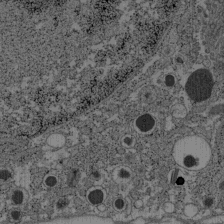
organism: C57BL Mouse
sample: Pancreatic islet